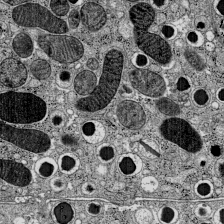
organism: C57BL Mouse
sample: Pancreatic islet